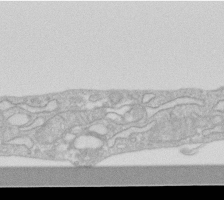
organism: Human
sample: Fibroblast cells